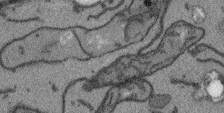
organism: Arabidopsis thaliana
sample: Root tip